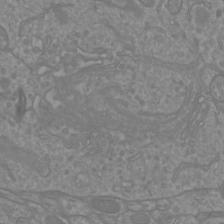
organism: Mouse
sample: Cortical neurons